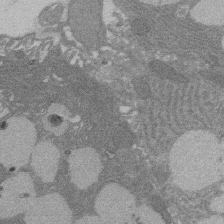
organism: Rat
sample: Salivary granule